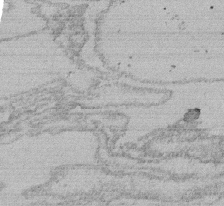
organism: Tetrahymena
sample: Cilia in tetrahymena